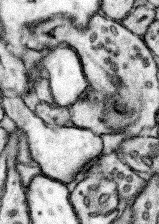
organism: Mouse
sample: Somatosensory cortex neuropil